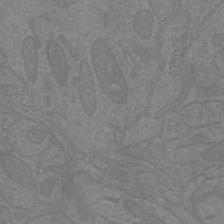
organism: Mouse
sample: Cortical neurons